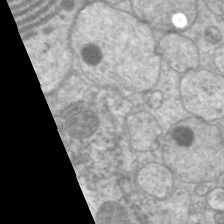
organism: C. elegans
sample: Pharynx